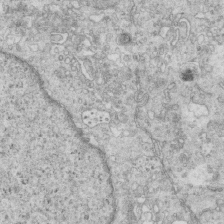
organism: Mouse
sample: Multiciliated cells